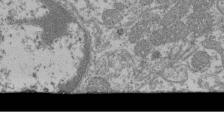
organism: Mouse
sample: Glomerulus